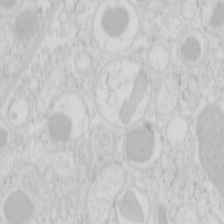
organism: Mouse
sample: Pancreas